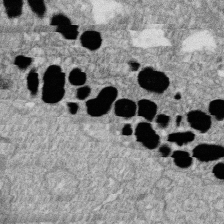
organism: Zebrafish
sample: Cilia; retinal pigment epithelium